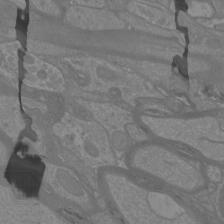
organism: Mouse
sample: Cortical neurons